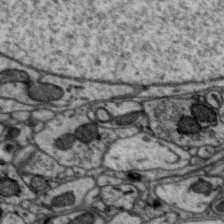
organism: Zebra finch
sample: Brain